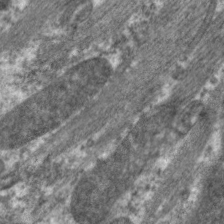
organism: C. elegans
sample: Pharynx